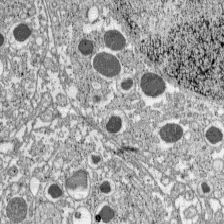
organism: C57BL Mouse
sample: Pancreatic islet